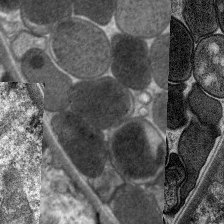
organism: C. elegans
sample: Pharynx